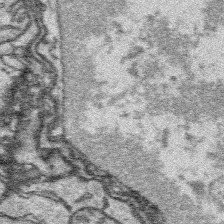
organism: Platynereis dumerilii